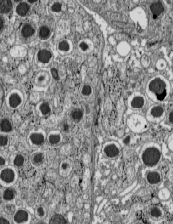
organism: C57BL Mouse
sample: Pancreatic islet